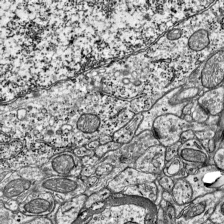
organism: Mouse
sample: Visual Cortex